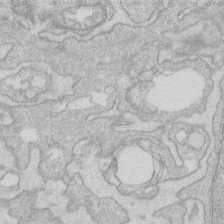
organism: Human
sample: Fibroblast cells